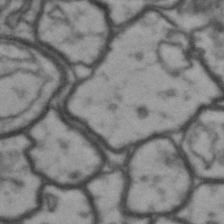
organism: Drosophila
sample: Brain